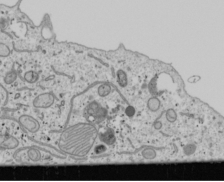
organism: Human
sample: Mitochondria in U2OS cells